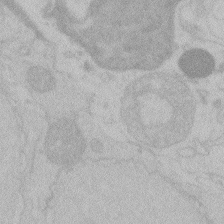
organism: Zebrafish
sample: Macrophage infected with Toxoplasma gondii